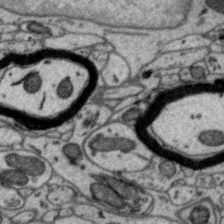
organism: Zebra finch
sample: Brain